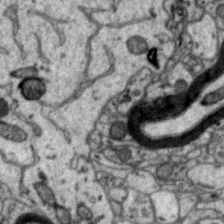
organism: Zebra finch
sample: Brain